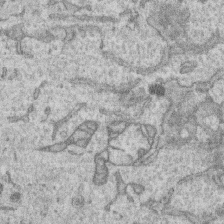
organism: Human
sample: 1205lu cells